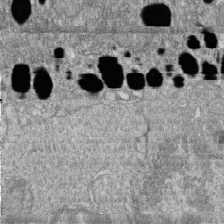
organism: Zebrafish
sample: Cilia; retinal pigment epithelium